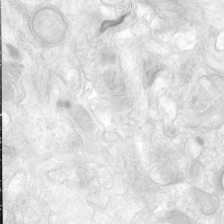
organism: Human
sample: Neocortex